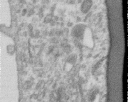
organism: Human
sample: Centriole in RPE cells